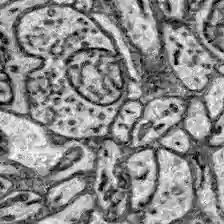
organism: Zebrafish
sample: Brain